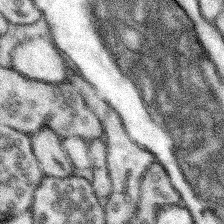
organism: Mouse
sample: Somatosensory cortex neuropil